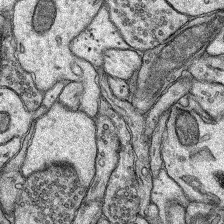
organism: Rat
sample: Hippocampus